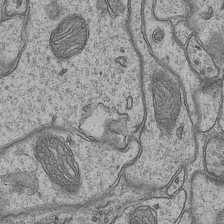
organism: Mouse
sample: CA1 Hippocampus